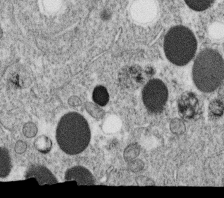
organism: C. elegans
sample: C. elegans oocyte; sperm cells